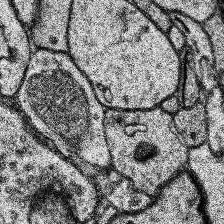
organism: Human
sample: Temporal Lobe